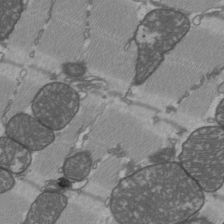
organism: C57BL Mouse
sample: Heart